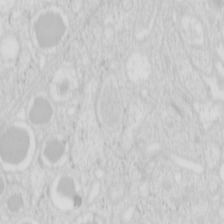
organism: Mouse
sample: Pancreas